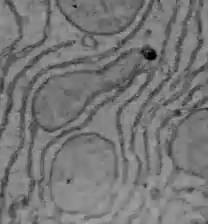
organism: C57BL Mouse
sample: Liver